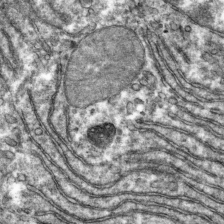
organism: Mouse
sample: Mouse hepatocytes